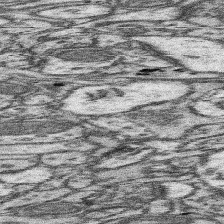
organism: Mouse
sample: Somatosensory cortex neuropil